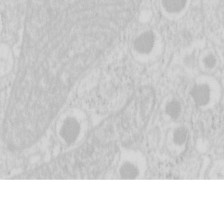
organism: Mouse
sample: Pancreas